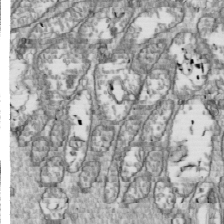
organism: Drosophila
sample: Cell division; meiosis; drosophila spermatocytes